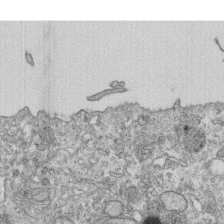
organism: Human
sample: HeLa cell HIV synapse